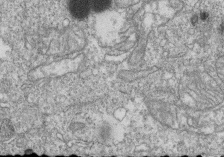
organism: Human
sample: HeLa cell HIV synapse